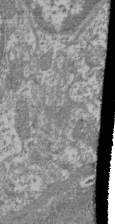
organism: Mouse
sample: Glomerulus